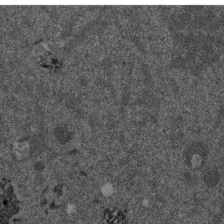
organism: Mouse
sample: Dividing mouse embryo 1 cell stage